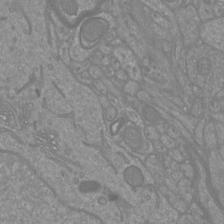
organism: Mouse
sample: Cortical neurons